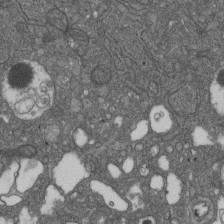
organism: Drosophila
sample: Nephrocyte